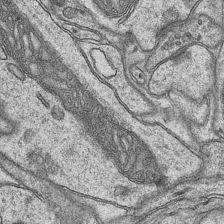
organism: Mouse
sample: CA1 Hippocampus